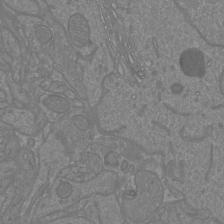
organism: Mouse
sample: Cortical neurons